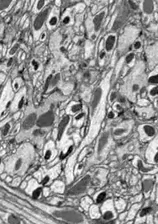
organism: Drosophila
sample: Optic lobe